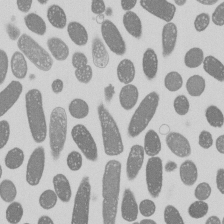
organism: E. coli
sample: Bacterial nucleoid